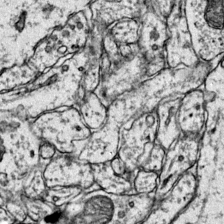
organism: Mouse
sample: Primary visual cortex